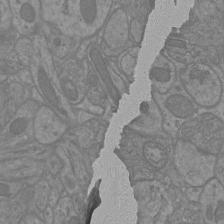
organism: Mouse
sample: Cortical neurons